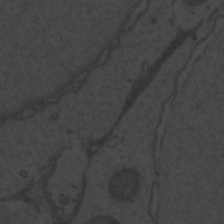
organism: Zebrafish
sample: Macrophage infected with Toxoplasma gondii